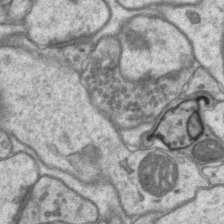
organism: Mouse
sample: CA1 Hippocampus